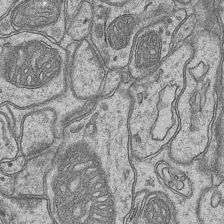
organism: Mouse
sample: CA1 Hippocampus